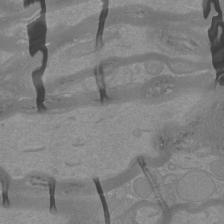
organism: Mouse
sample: Cortical neurons